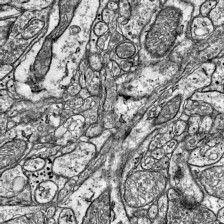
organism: Mouse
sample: Visual Cortex